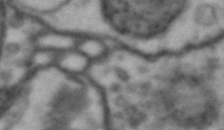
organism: Drosophila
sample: Brain